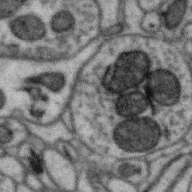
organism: Zebra finch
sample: Brain